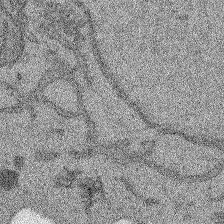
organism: Human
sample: HeLa cells